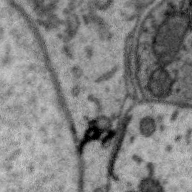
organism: Zebra finch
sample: Brain